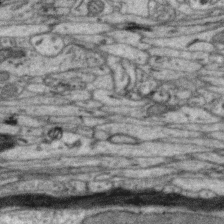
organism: Zebra finch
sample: Brain